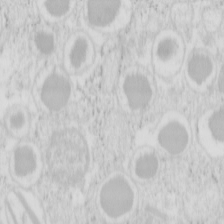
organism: Mouse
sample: Pancreas